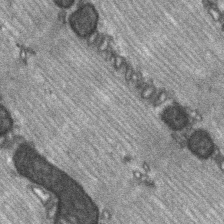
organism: C57BL Mouse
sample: Soleus